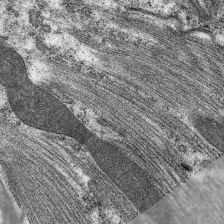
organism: C. elegans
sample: Pharynx